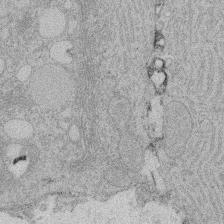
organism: Rat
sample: Salivary granule